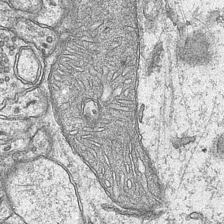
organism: Mouse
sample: CA1 Hippocampus